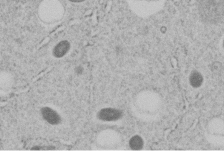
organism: C. elegans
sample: C. elegans embryo early stage